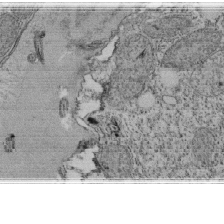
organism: Tetrahymena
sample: Cilia in tetrahymena